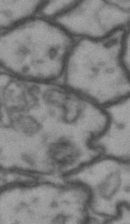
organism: Drosophila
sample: Brain